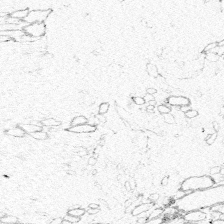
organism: Zebrafish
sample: Whole-Brain